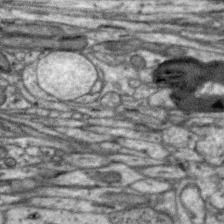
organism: Zebra finch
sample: Brain